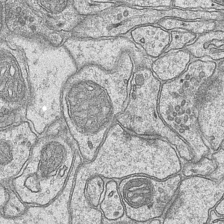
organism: Mouse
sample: CA1 Hippocampus